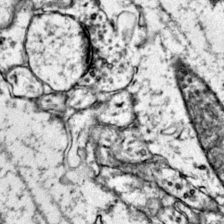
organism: Mouse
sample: Primary visual cortex